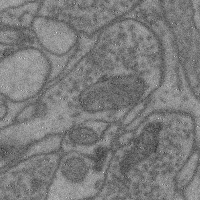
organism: Mouse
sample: Cerebral cortex